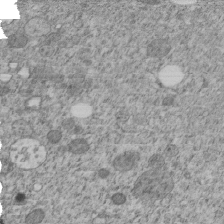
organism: C. elegans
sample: C. elegans embryo early stage